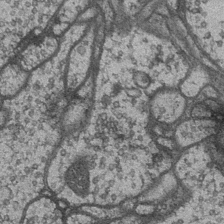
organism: Drosophila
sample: Optic medulla